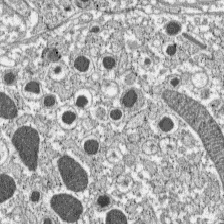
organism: C57BL Mouse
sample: Pancreatic islet